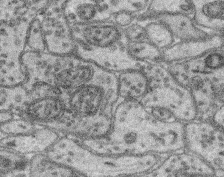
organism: Mouse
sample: Retina